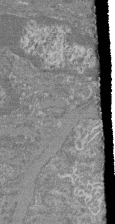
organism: Mouse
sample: Glomerulus